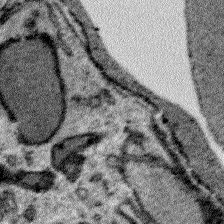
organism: Plasmodium falciparum